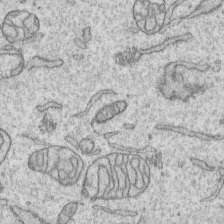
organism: Human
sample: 1205lu cells